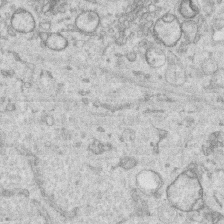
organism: Human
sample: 1205lu cells